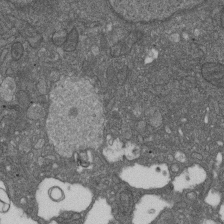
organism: Drosophila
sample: Nephrocyte